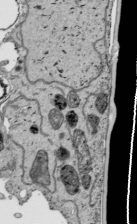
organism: Human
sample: Mitochondria in HCT116 cells